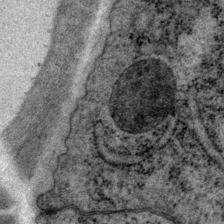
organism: P. pacificus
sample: Pharynx